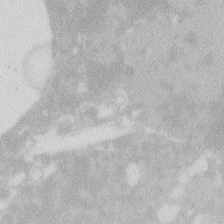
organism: Zebrafish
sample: Macrophage